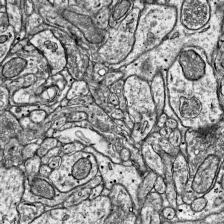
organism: Mouse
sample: Visual Cortex